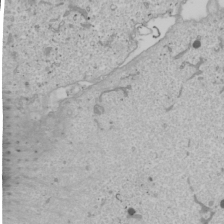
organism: Human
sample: Mitochondria in U2OS cells